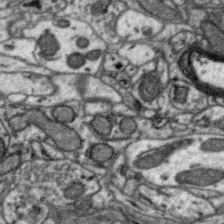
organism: Zebra finch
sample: Brain